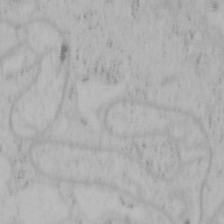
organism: Mouse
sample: OT-I killer T cells with ID8 ovarian cancer cells